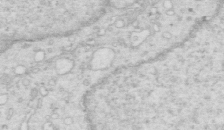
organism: Mouse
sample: Multiciliated cells